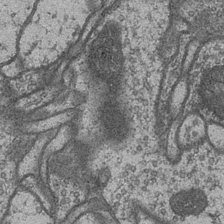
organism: Drosophila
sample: Optic medulla